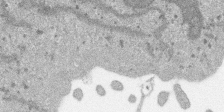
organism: Human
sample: Lung epithelial cells infected with SARS-CoV-2